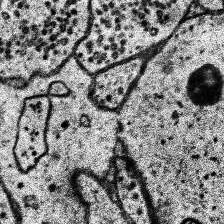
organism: Human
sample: Temporal Lobe